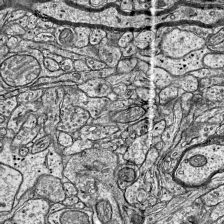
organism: Mouse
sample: Visual Cortex